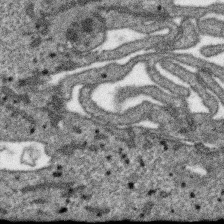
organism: Human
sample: Lung epithelial cells infected with SARS-CoV-2